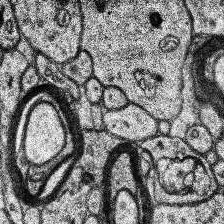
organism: Human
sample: Temporal Lobe